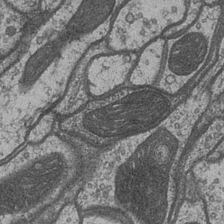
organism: Drosophila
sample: Optic medulla